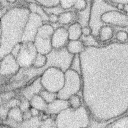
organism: Rabbit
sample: Retina